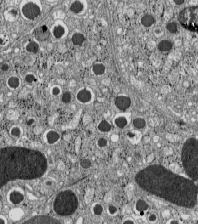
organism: C57BL Mouse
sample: Pancreatic islet